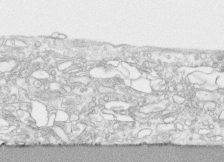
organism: Human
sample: CRL-1474